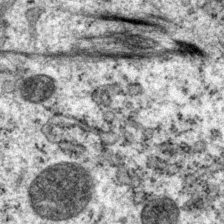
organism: P. pacificus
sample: Pharynx